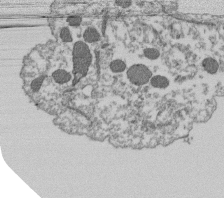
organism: Dictyostelium discoideum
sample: Dictyostelium multivesicular bodies